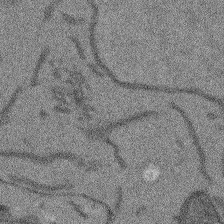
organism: Arabidopsis thaliana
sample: Root tip